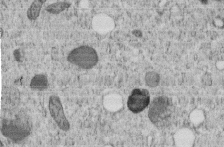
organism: C. elegans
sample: C. elegans embryo early stage